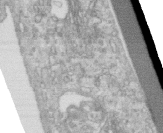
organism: Human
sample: Centriole in RPE cells